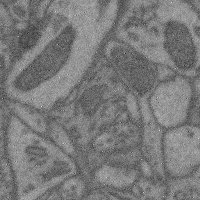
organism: Mouse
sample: Cerebral cortex